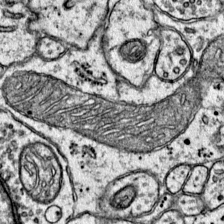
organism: Mouse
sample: Primary visual cortex